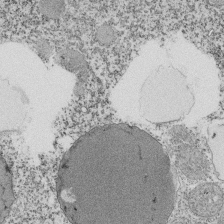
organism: Tetrahymena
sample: Cilia in tetrahymena